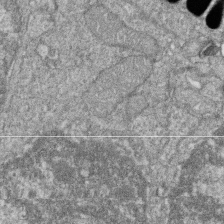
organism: Zebrafish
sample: Cilia; retinal pigment epithelium